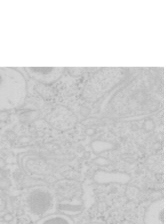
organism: Mouse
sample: Pancreas